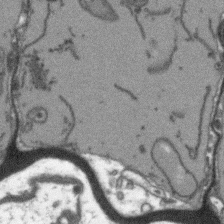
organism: Arabidopsis thaliana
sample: Root tip